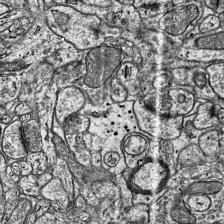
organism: Mouse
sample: Visual Cortex